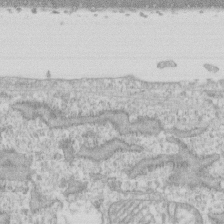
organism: Human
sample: CRL-1474